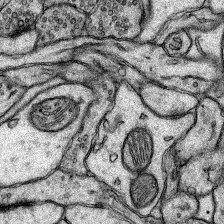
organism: Rat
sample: Hippocampus